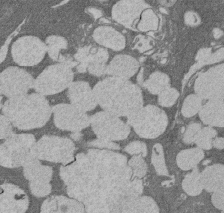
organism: Rat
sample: Salivary granule